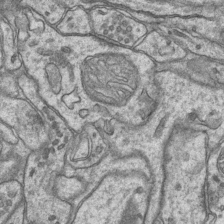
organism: Mouse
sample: CA1 Hippocampus